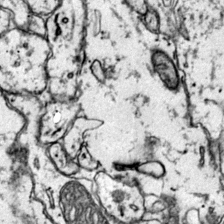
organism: Mouse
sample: Primary visual cortex